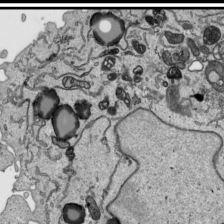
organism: Human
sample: Mitochondria in HCT116 cells